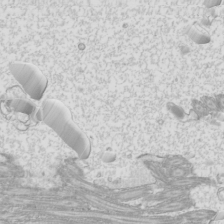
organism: Mouse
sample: Cilia; mouse epididymis